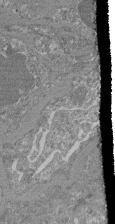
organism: Mouse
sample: Glomerulus